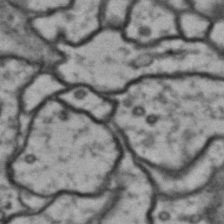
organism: Drosophila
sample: Brain